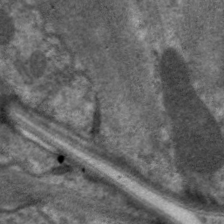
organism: C. elegans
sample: Pharynx